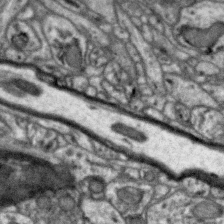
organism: Zebra finch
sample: Brain